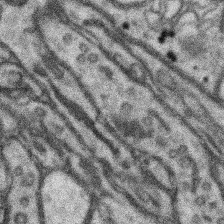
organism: Mouse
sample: Somatosensory cortex neuropil